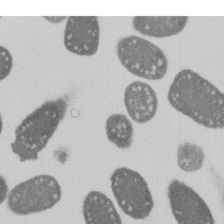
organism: E. coli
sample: Bacterial nucleoid